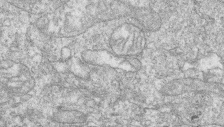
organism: Human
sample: HeLa cell HIV synapse